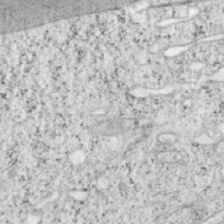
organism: Mouse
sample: OT-I killer T cells with ID8 ovarian cancer cells